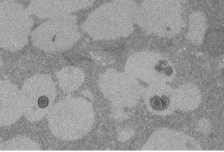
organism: Rat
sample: Salivary granule